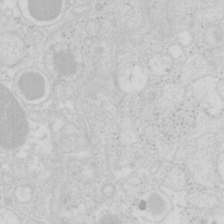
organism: Mouse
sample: Pancreas